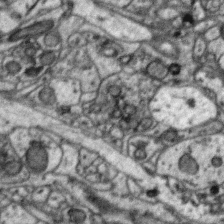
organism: Zebra finch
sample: Brain